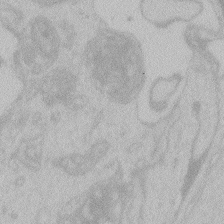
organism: Zebrafish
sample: Macrophage infected with Toxoplasma gondii